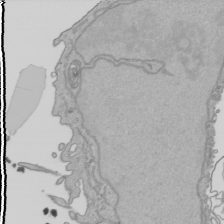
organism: Human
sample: Mitochondria in HCT116 cells